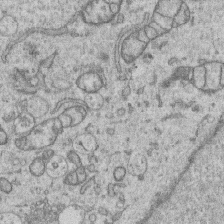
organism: Human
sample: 1205lu cells